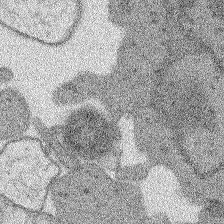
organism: Human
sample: HeLa cells